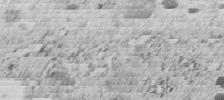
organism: C. elegans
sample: C. elegans embryo early stage